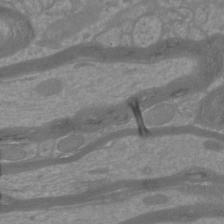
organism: Mouse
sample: Cortical neurons